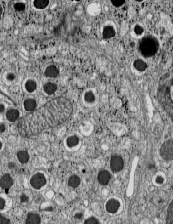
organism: C57BL Mouse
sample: Pancreatic islet